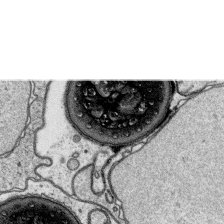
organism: Platynereis dumerilii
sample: Parapodia